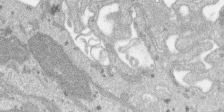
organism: Human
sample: Lung epithelial cells infected with SARS-CoV-2